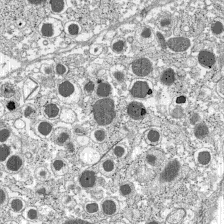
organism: C57BL Mouse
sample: Pancreatic islet